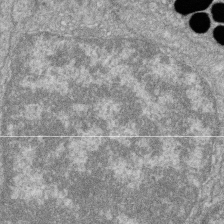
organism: Zebrafish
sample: Cilia; retinal pigment epithelium